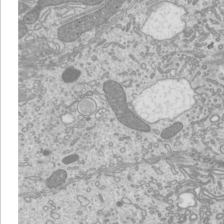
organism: Mouse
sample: Cilia; mouse epididymis